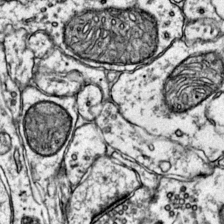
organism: Mouse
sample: Primary visual cortex